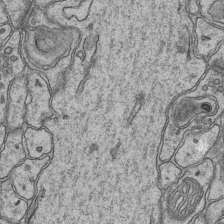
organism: Mouse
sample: CA1 Hippocampus